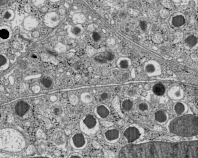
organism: C57BL Mouse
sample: Pancreatic islet